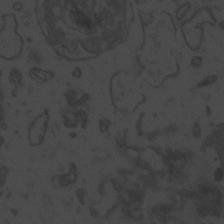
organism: Zebrafish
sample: Macrophage infected with Toxoplasma gondii